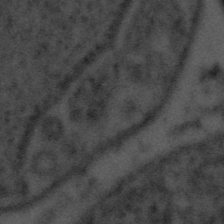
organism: Tuwongella immobilis